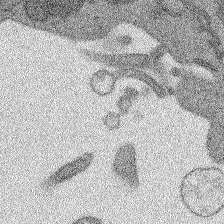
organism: Human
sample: HeLa cells